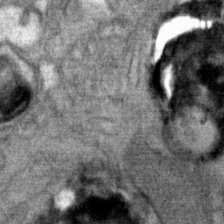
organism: Mouse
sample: Mouse Salivary gland